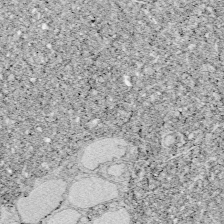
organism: Zebrafish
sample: Whole-Brain